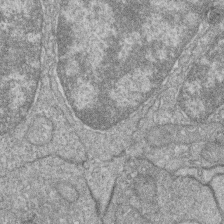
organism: Zebrafish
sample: Cilia; retinal pigment epithelium